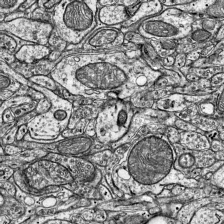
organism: Mouse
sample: Visual Cortex